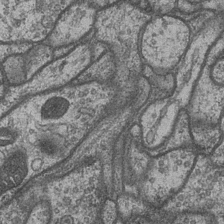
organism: Drosophila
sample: Optic medulla